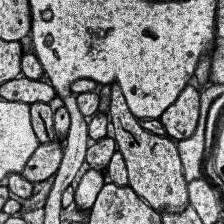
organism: Human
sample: Temporal Lobe